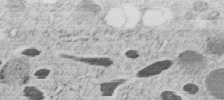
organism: C. elegans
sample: C. elegans embryo early stage